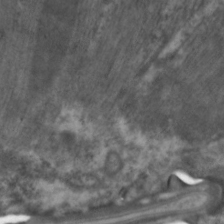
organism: C. elegans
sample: Pharynx